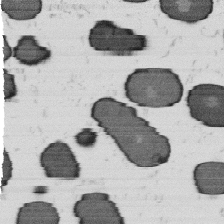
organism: B. subtilis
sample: Bacterial spore